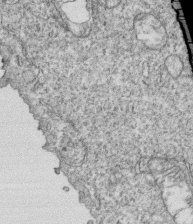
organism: Human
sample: HeLa cell HIV synapse